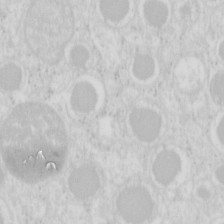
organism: Mouse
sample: Pancreas